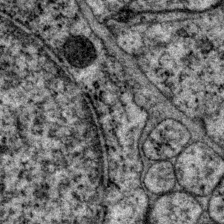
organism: P. pacificus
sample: Pharynx